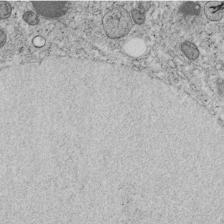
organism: C. elegans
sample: C. elegans embryo early stage